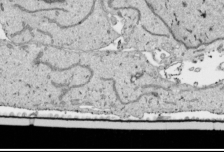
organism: Human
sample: Mitochondria in HCT116 cells